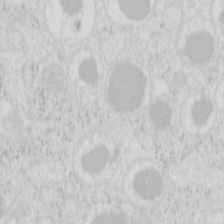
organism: Mouse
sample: Pancreas